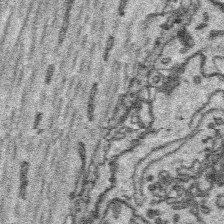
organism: Platynereis dumerilii